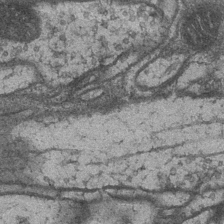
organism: Drosophila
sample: Optic medulla